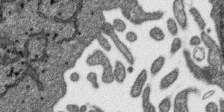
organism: Human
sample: Lung epithelial cells infected with SARS-CoV-2